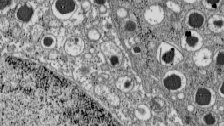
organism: C57BL Mouse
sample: Pancreatic islet